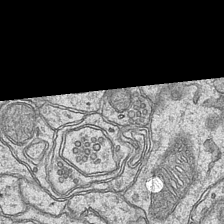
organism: Mouse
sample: CA1 Hippocampus